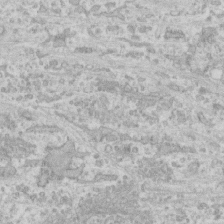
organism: Human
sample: CRL-1474